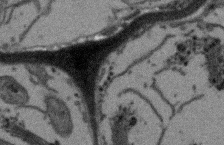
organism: Arabidopsis thaliana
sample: Root tip